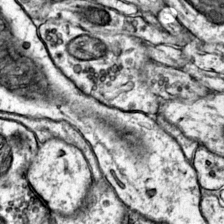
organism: Mouse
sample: Primary visual cortex